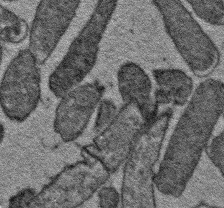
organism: E. coli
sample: E. Coli Bacteria